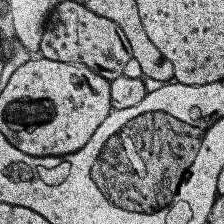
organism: Human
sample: Temporal Lobe